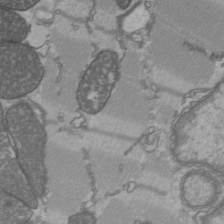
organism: C57BL Mouse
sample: Heart